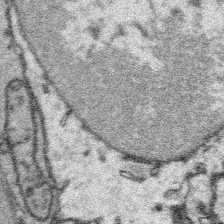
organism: Platynereis dumerilii